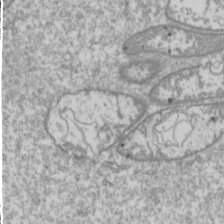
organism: Drosophila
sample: Cell division; meiosis; drosophila spermatocytes